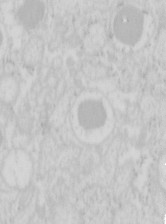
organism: Mouse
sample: Pancreas